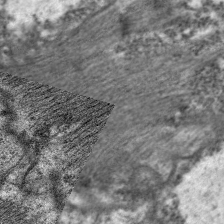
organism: C. elegans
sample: Pharynx